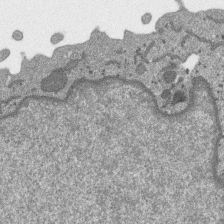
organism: Human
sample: Lung epithelial cells infected with SARS-CoV-2